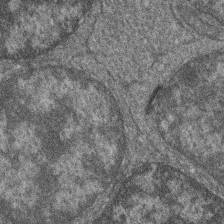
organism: Zebrafish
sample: Cilia; retinal pigment epithelium